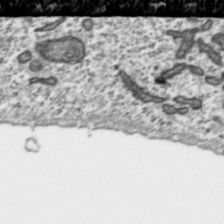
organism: Toxoplasma gondii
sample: Parasites in a vacuole inside a host cell